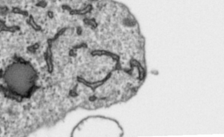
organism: Toxoplasma gondii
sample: Parasites in a vacuole inside a host cell